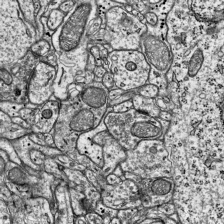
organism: Mouse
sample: Visual Cortex